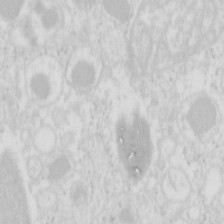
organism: Mouse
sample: Pancreas